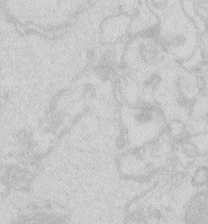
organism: Zebrafish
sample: Macrophage